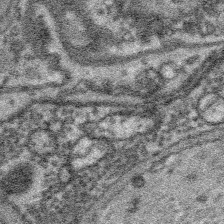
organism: Platynereis dumerilii